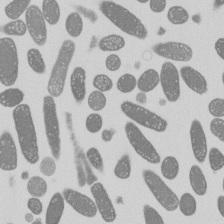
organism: E. coli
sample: Bacterial nucleoid